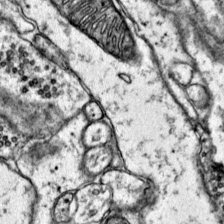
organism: Mouse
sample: Primary visual cortex